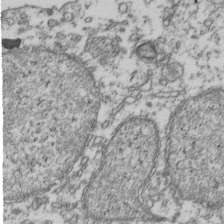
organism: Human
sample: Activated Jurkat CD4+ T cells